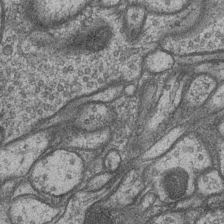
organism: Drosophila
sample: Optic medulla